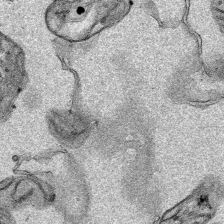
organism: Human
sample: Mitochondria in HCT116 cells